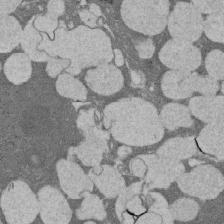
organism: Rat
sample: Salivary granule